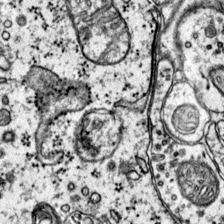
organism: Mouse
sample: Primary visual cortex